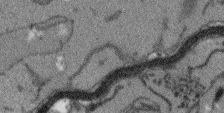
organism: Arabidopsis thaliana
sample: Root tip